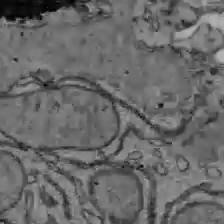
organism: C57BL Mouse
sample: Liver